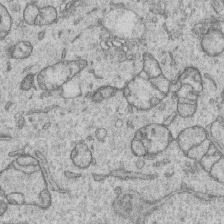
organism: Human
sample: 1205lu cells